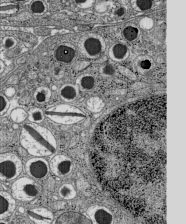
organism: C57BL Mouse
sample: Pancreatic islet